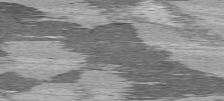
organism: C57BL Mouse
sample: Heart